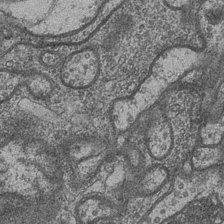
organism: Drosophila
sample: Optic medulla